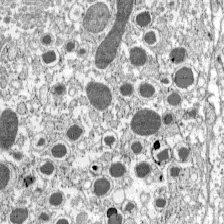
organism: C57BL Mouse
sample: Pancreatic islet